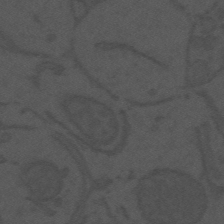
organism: Mouse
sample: Suprachiasmatic nucleus